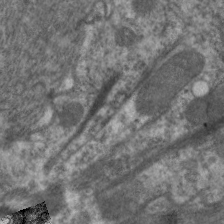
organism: C. elegans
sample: Pharynx